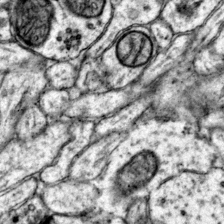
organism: Mouse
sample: Primary visual cortex